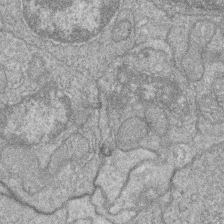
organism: Zebrafish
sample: Cilia; retinal pigment epithelium